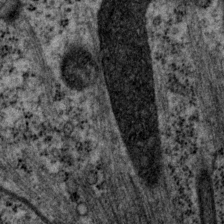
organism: P. pacificus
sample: Pharynx